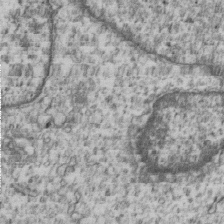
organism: Human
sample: MDA-MB-231 cells